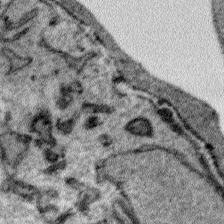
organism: Plasmodium falciparum